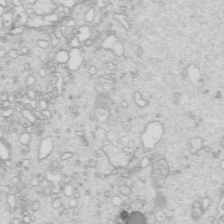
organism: Mouse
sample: Multiciliated cells